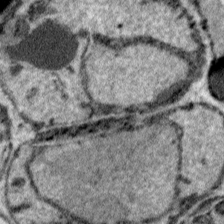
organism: Plasmodium falciparum